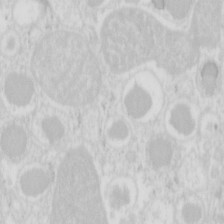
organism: Mouse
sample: Pancreas